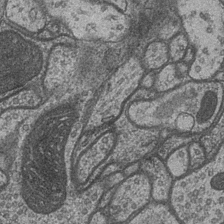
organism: Drosophila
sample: Optic medulla